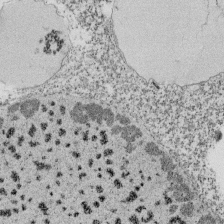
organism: Tetrahymena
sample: Cilia in tetrahymena